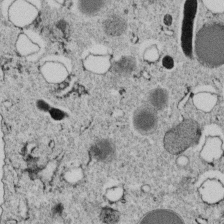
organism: C. elegans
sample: C. elegans embryo early stage